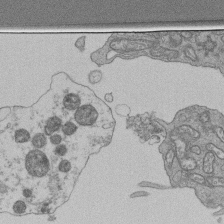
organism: Human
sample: Retinal organoid Rod and Cone cells